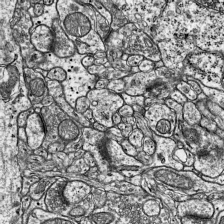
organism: Mouse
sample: Visual Cortex